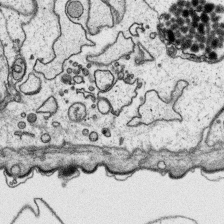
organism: Platynereis dumerilii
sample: Parapodia